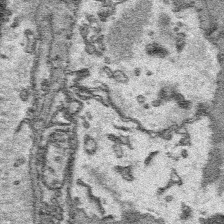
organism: Platynereis dumerilii